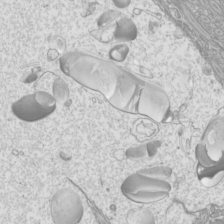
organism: Mouse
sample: Cilia; mouse epididymis